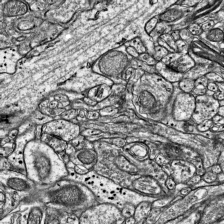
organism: Mouse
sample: Visual Cortex